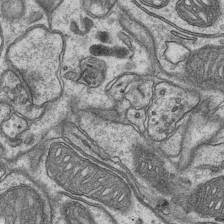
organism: Mouse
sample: CA1 Hippocampus